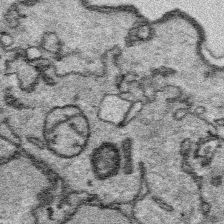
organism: Platynereis dumerilii